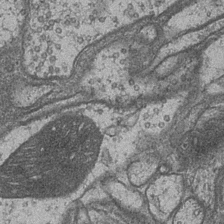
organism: Drosophila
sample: Optic medulla